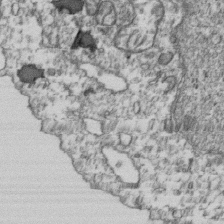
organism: Human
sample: Activated Jurkat CD4+ T cells